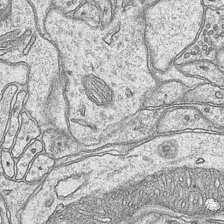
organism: Mouse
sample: CA1 Hippocampus